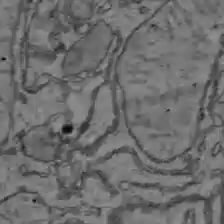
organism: C57BL Mouse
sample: Liver